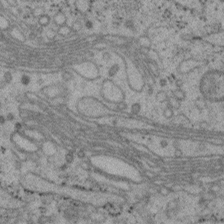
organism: Human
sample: HeLa cells